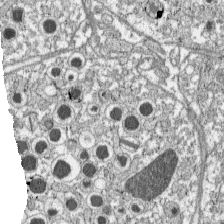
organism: C57BL Mouse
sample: Pancreatic islet